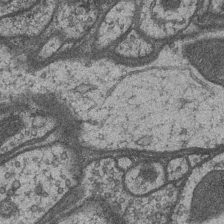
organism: Drosophila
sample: Optic medulla